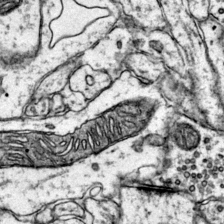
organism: Mouse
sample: Primary visual cortex